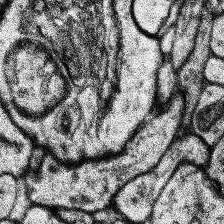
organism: Human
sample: Temporal Lobe